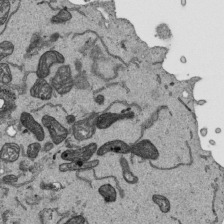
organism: Human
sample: Mitochondria in HCT116 cells